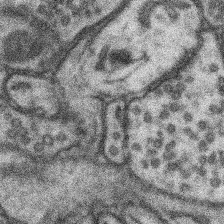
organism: Mouse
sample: Somatosensory cortex neuropil